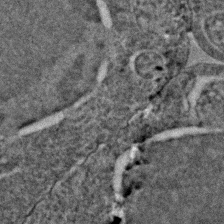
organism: C. elegans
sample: C. elegans embryo